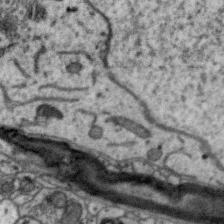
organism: Zebra finch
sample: Brain